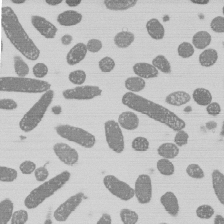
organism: E. coli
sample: Bacterial nucleoid